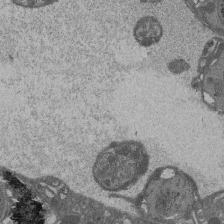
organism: Drosophila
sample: Antenna